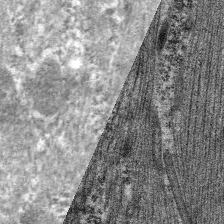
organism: C. elegans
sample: Pharynx